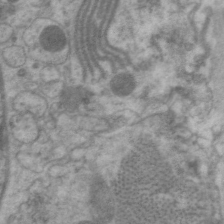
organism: C. elegans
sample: Pharynx